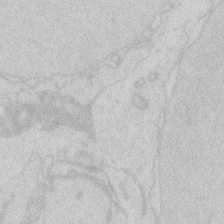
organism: Zebrafish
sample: Macrophage